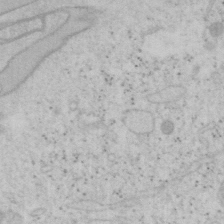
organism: Human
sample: HeLa cells